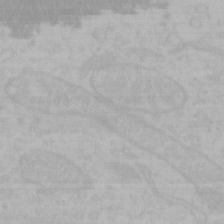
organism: Mouse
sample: Choroid plexus